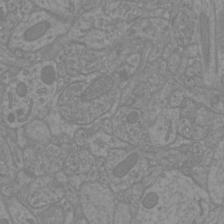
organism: Mouse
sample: Cortical neurons